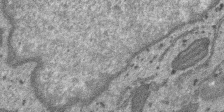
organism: Human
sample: Lung epithelial cells infected with SARS-CoV-2